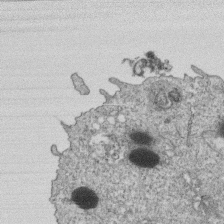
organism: Human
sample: HeLa cell HIV synapse